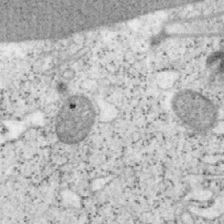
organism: Mouse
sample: OT-I killer T cells with ID8 ovarian cancer cells